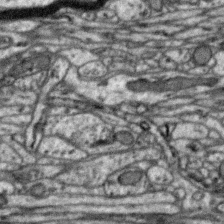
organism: Zebra finch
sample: Brain